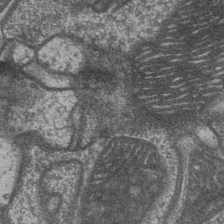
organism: Drosophila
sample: Optic medulla